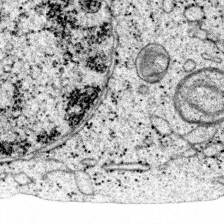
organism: Human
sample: HeLa cells